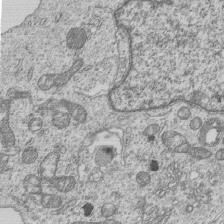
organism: Human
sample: MDA-MB-231 cells